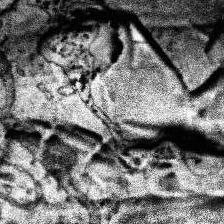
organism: Human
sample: Temporal Lobe